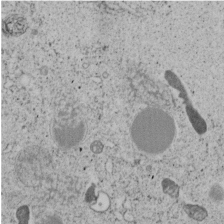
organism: C. elegans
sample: C. elegans embryo early stage